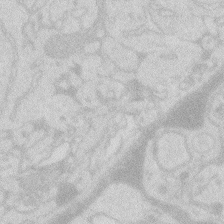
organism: Zebrafish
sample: Macrophage